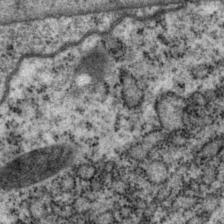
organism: P. pacificus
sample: Pharynx